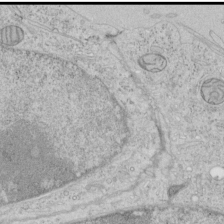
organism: Human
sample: Mitochondria in HCT116 cells